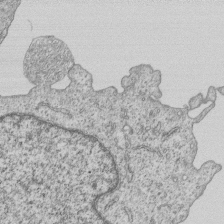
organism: Human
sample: MDA-MB-231 cells